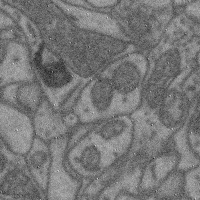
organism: Mouse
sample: Cerebral cortex